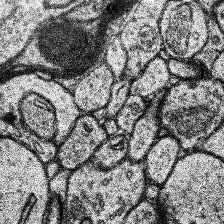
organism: Human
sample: Temporal Lobe